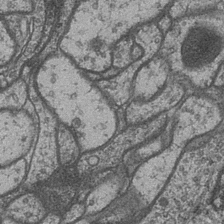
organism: Drosophila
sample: Optic medulla